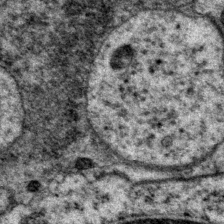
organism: P. pacificus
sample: Pharynx